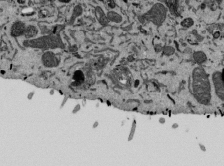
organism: Mouse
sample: ED-1 cell nuclei; centrioles